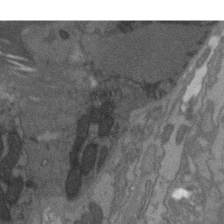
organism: C. elegans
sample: AFD neurons C. elegans